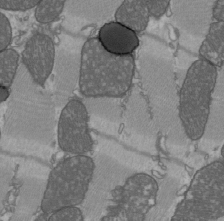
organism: C57BL Mouse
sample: Heart